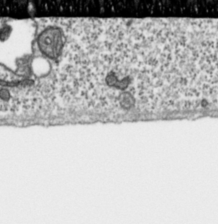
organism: Toxoplasma gondii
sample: Parasites in a vacuole inside a host cell